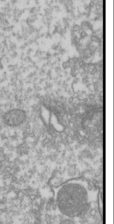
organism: Drosophila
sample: Cell division; meiosis; drosophila spermatocytes